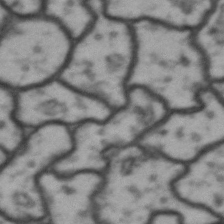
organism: Drosophila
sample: Brain